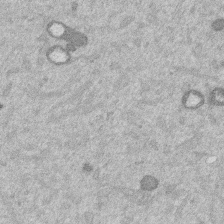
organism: Mouse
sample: Dividing mouse embryo 1 cell stage